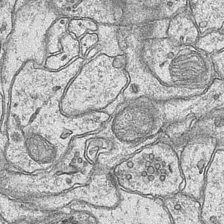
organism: Mouse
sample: CA1 Hippocampus